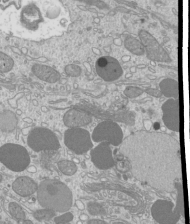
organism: Mouse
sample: Cilia; mouse epididymis